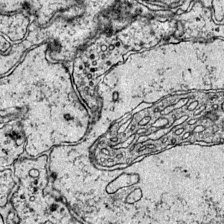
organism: Mouse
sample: Primary visual cortex